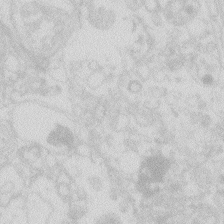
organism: Zebrafish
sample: Macrophage